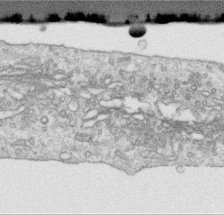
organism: Human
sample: Centriole in RPE cells